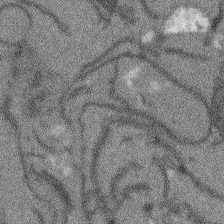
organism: Arabidopsis thaliana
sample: Root tip